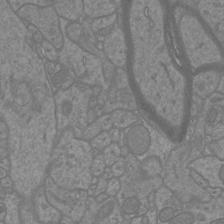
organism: Mouse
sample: Cortical neurons